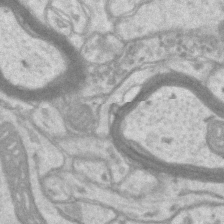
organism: Mouse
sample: CA1 Hippocampus